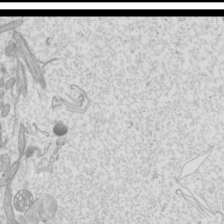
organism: Mouse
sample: Cilia; mouse epididymis